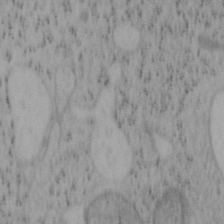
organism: Mouse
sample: OT-I killer T cells with ID8 ovarian cancer cells